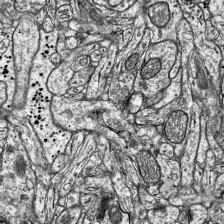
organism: Mouse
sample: Visual Cortex